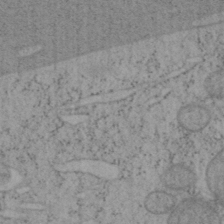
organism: Mouse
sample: OT-I killer T cells with ID8 ovarian cancer cells